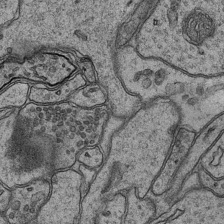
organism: Mouse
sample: CA1 Hippocampus